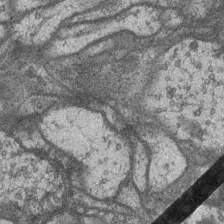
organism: Drosophila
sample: Optic medulla